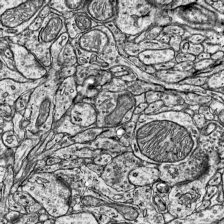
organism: Mouse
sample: Visual Cortex